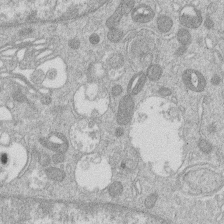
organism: Human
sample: Macrophage cells